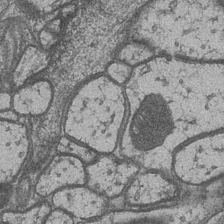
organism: Drosophila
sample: Optic medulla